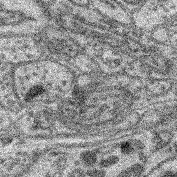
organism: Mouse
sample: Retina